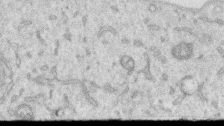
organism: Human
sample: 1205lu cells